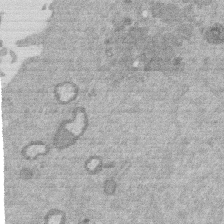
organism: Mouse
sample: Dividing mouse embryo 1 cell stage